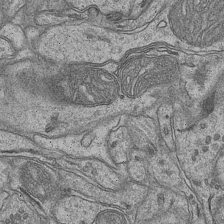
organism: Mouse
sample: CA1 Hippocampus